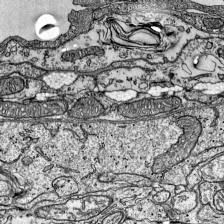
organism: Mouse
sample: Visual Cortex